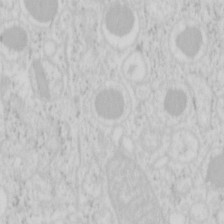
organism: Mouse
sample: Pancreas